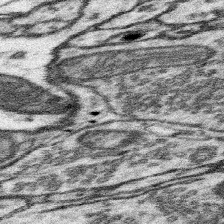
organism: Mouse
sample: Somatosensory cortex neuropil